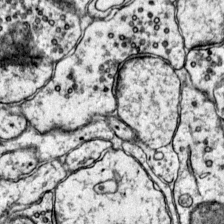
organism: Mouse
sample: Primary visual cortex